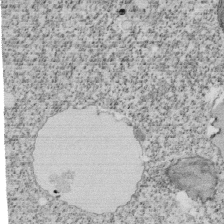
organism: Tetrahymena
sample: Cilia in tetrahymena